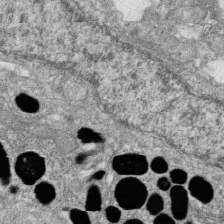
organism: Zebrafish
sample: Cilia; retinal pigment epithelium